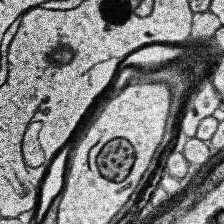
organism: Human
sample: Temporal Lobe